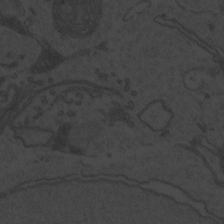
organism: Zebrafish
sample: Macrophage infected with Toxoplasma gondii